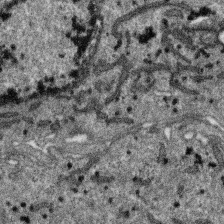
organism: Human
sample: Lung epithelial cells infected with SARS-CoV-2